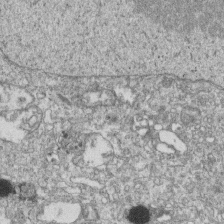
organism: Human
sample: HeLa cell HIV synapse